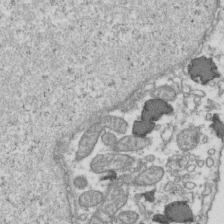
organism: Human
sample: Activated Jurkat CD4+ T cells